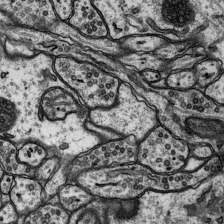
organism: Rat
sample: Hippocampus